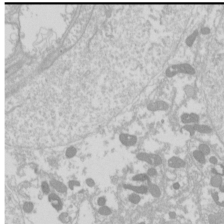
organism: Drosophila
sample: Cell division; meiosis; drosophila spermatocytes